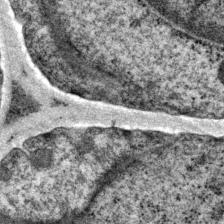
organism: P. pacificus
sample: Pharynx